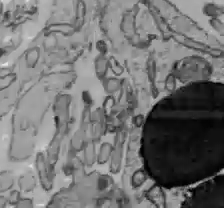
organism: C57BL Mouse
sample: Liver